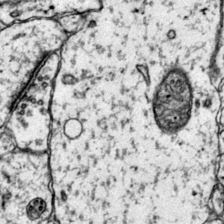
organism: Mouse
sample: Primary visual cortex